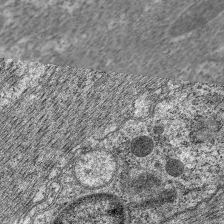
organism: C. elegans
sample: Pharynx